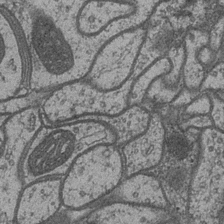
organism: Drosophila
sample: Optic medulla